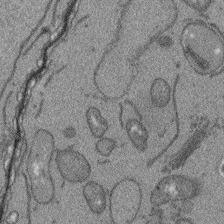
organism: Arabidopsis thaliana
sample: Root tip